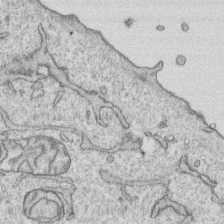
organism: Human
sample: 1205lu cells